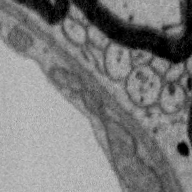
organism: Zebra finch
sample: Brain